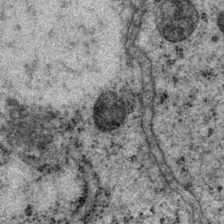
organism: P. pacificus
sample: Pharynx